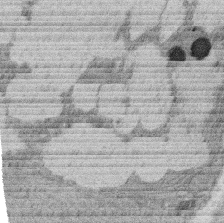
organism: Rat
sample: Salivary granule